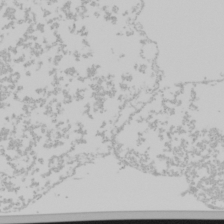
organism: Mouse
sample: Cancer cell death in ED-1 cells